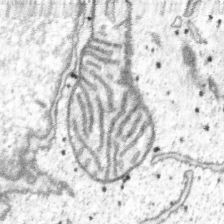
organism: Human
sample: HeLa cells